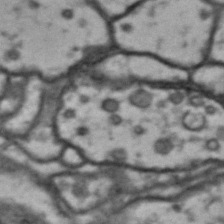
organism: Drosophila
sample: Brain